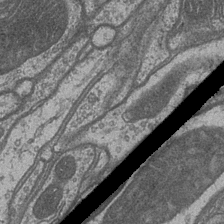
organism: Drosophila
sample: Optic medulla